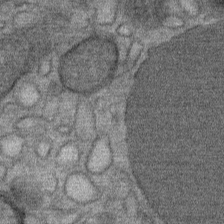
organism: Mouse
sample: Mouse Salivary gland